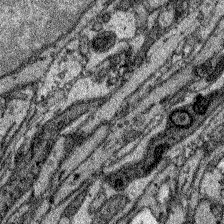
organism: Zebrafish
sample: Larval olfactory bulb